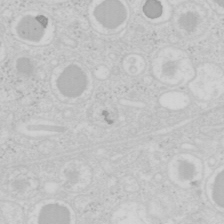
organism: Mouse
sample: Pancreas